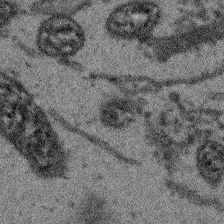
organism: Arabidopsis thaliana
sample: Root tip